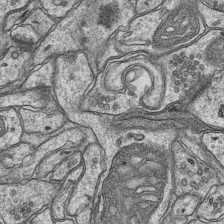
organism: Mouse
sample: CA1 Hippocampus